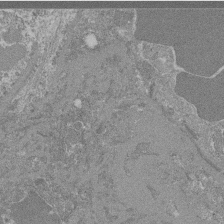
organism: Mouse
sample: Glomerulus